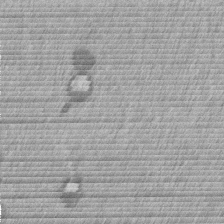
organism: Mouse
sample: Dividing mouse embryo 1 cell stage